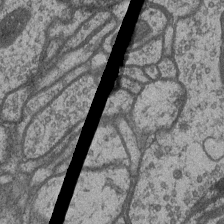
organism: Drosophila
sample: Optic medulla